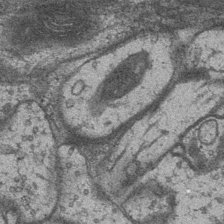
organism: Drosophila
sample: Optic medulla